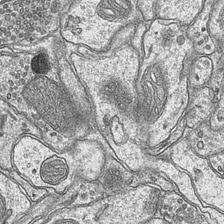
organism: Mouse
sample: CA1 Hippocampus